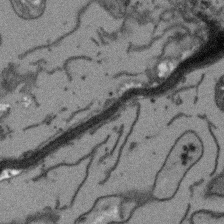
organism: Arabidopsis thaliana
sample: Root tip